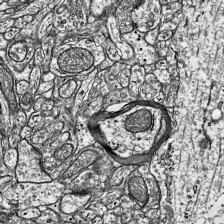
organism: Mouse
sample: Visual Cortex